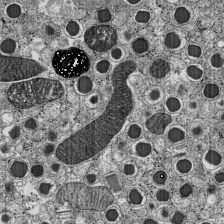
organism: C57BL Mouse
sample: Pancreatic islet